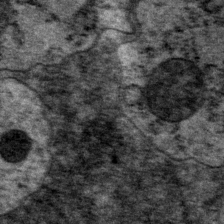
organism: P. pacificus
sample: Pharynx